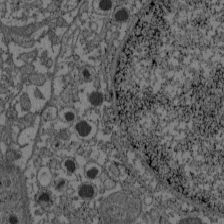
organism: C57BL Mouse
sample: Pancreatic islet